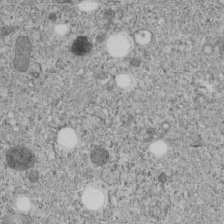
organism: C. elegans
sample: C. elegans embryo early stage